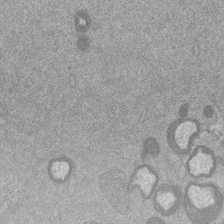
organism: Mouse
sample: Dividing mouse embryo 1 cell stage